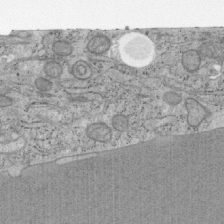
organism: Human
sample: HeLa cells